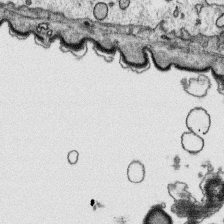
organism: Platynereis dumerilii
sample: Parapodia